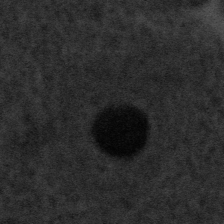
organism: Tuwongella immobilis